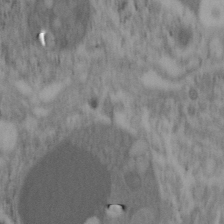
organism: Mouse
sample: OT-I killer T cells with ID8 ovarian cancer cells